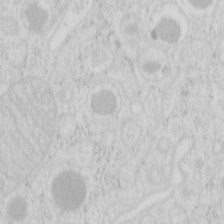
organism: Mouse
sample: Pancreas